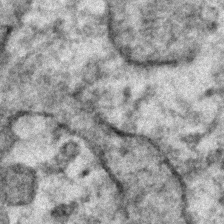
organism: Human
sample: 1205lu cells